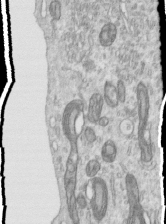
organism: Human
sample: Centriole in RPE cells